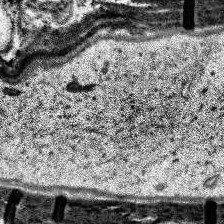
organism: Human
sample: Temporal Lobe